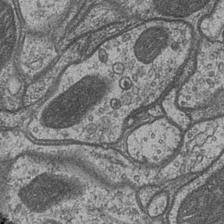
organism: Drosophila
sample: Optic medulla